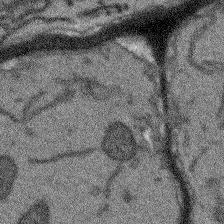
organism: Arabidopsis thaliana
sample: Root tip